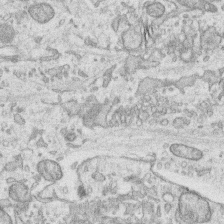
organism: Human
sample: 1205lu cells